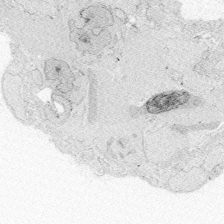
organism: Zebrafish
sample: Whole-Brain